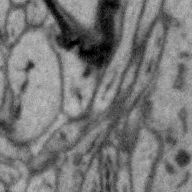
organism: Zebra finch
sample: Brain